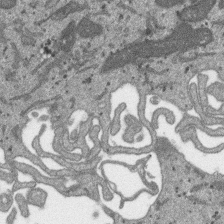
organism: Human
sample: Lung epithelial cells infected with SARS-CoV-2